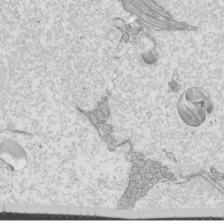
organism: Mouse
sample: Cilia; mouse epididymis